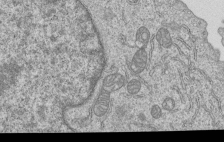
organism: Human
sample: MDA-MB-231 cells